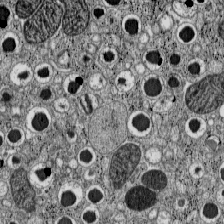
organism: C57BL Mouse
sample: Pancreatic islet